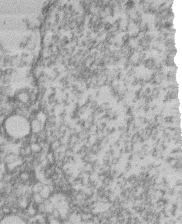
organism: Mouse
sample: T cell stromal cell synapse